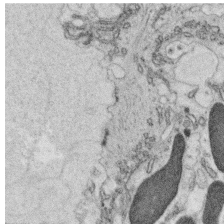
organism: C. elegans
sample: C. elegans oocyte; sperm cells